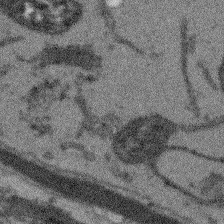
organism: Arabidopsis thaliana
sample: Root tip